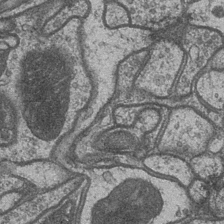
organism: Drosophila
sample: Optic medulla